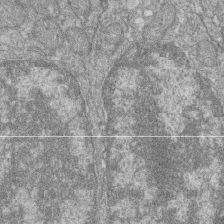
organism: Zebrafish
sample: Cilia; retinal pigment epithelium